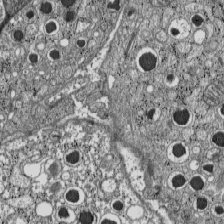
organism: C57BL Mouse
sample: Pancreatic islet